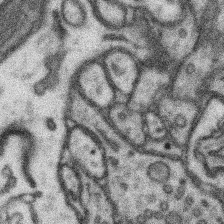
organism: Mouse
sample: Somatosensory cortex neuropil